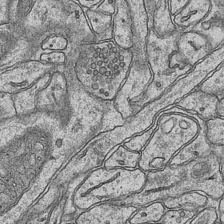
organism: Mouse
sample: CA1 Hippocampus